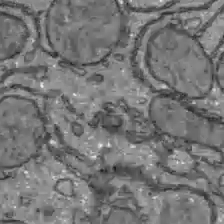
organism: C57BL Mouse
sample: Liver